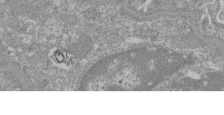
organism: Mouse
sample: Glomerulus